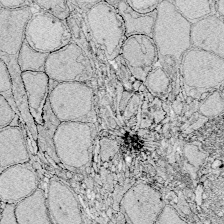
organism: Zebrafish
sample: Whole-Brain